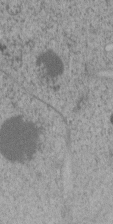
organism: C. elegans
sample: C. elegans embryo early stage